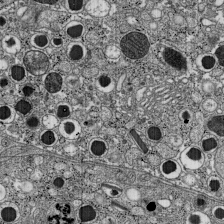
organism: C57BL Mouse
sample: Pancreatic islet